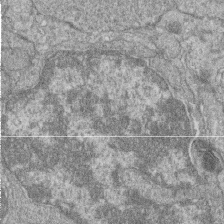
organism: Zebrafish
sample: Cilia; retinal pigment epithelium